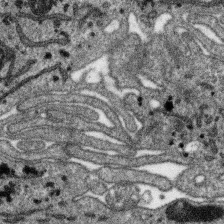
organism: Human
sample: Lung epithelial cells infected with SARS-CoV-2